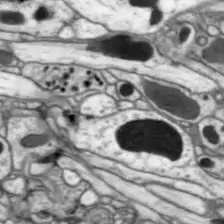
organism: Drosophila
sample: Optic lobe